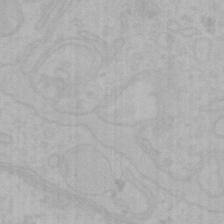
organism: Mouse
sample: Choroid plexus